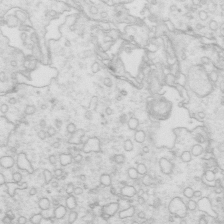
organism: Mouse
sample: Multiciliated cells